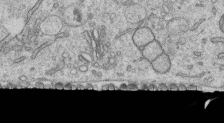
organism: Human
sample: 1205lu cells